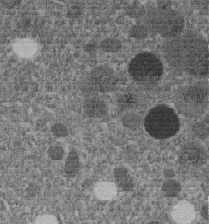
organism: C. elegans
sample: C. elegans embryo early stage